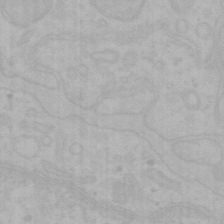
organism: Mouse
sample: Choroid plexus